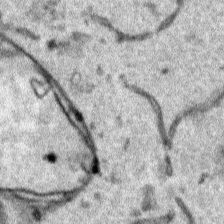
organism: Human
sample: Mitochondria in HCT116 cells